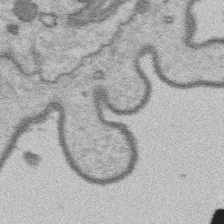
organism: Platynereis dumerilii